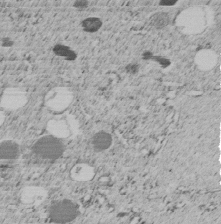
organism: C. elegans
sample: C. elegans embryo early stage